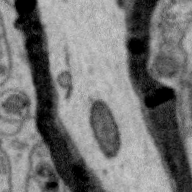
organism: Zebra finch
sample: Brain